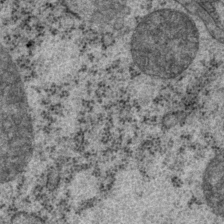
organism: P. pacificus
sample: Pharynx